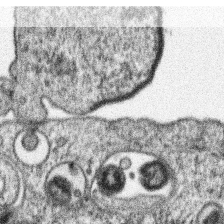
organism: Human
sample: HeLa cells